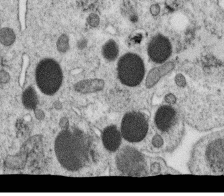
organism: C. elegans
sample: C. elegans oocyte; sperm cells